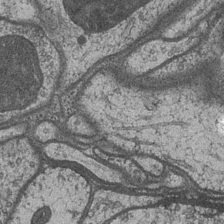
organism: Drosophila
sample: Optic medulla